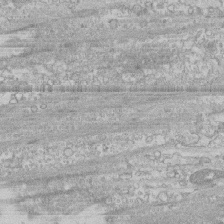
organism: Human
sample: CRL-1474